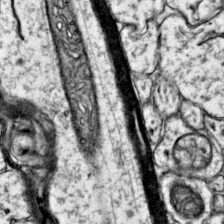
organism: Mouse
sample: Primary visual cortex